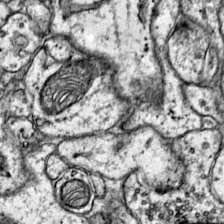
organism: Mouse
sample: Primary visual cortex